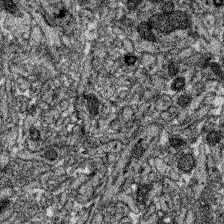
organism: Zebrafish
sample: Larval olfactory bulb